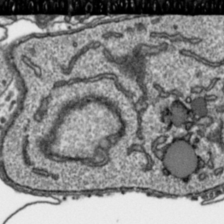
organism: Toxoplasma gondii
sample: Parasites in a vacuole inside a host cell